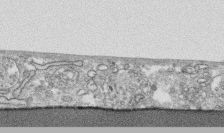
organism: Human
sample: CRL-1474